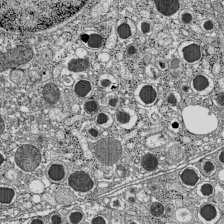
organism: C57BL Mouse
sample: Pancreatic islet